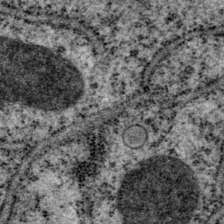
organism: P. pacificus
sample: Pharynx